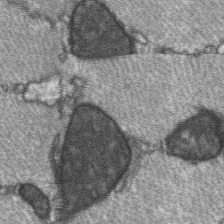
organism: C57BL Mouse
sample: Soleus